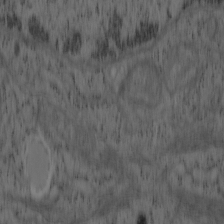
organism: Human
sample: HeLa cells